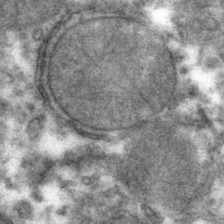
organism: Mouse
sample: Mouse hepatocytes